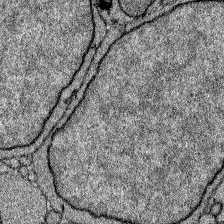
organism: Zebrafish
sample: Larval olfactory bulb